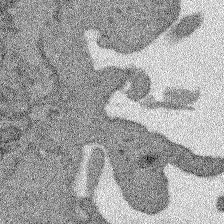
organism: Human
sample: HeLa cells